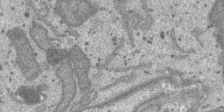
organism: Human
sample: Lung epithelial cells infected with SARS-CoV-2